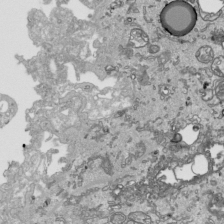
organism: Human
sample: Mitochondria in HCT116 cells